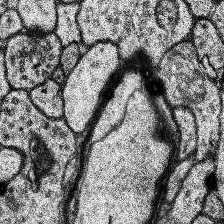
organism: Human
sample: Temporal Lobe